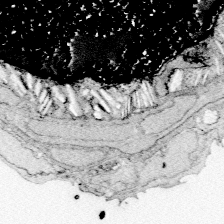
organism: Zebrafish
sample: Whole-Brain